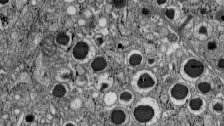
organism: C57BL Mouse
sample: Pancreatic islet